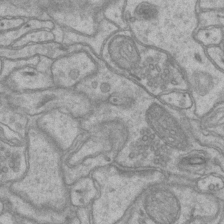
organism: Mouse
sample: CA1 Hippocampus